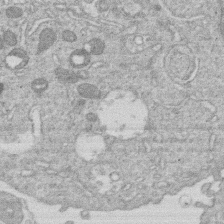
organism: Human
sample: Macrophage cells